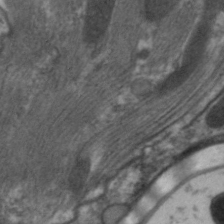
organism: C. elegans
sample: Pharynx